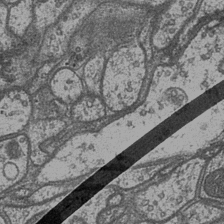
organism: Drosophila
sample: Optic medulla